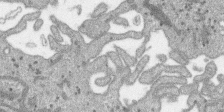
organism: Human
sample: Lung epithelial cells infected with SARS-CoV-2